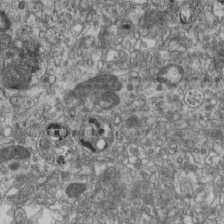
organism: Mouse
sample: Centriole in ependymal cells